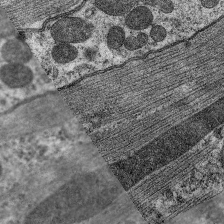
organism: C. elegans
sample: Pharynx